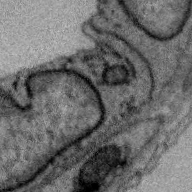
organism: Zebra finch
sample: Brain